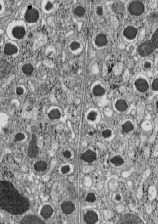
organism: C57BL Mouse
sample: Pancreatic islet